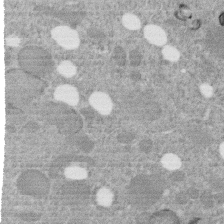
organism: C. elegans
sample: C. elegans embryo early stage